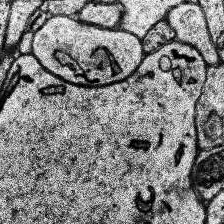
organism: Human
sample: Temporal Lobe